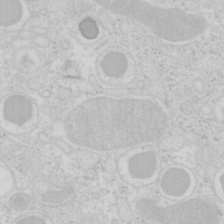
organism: Mouse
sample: Pancreas